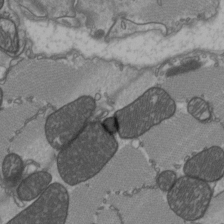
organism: C57BL Mouse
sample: Heart